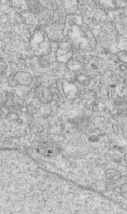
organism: Human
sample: HeLa cell HIV synapse